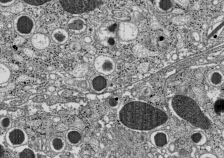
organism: C57BL Mouse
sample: Pancreatic islet